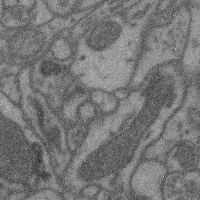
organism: Mouse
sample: Cerebral cortex